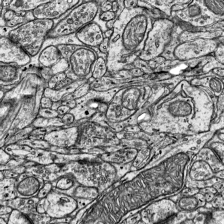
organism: Mouse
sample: Visual Cortex